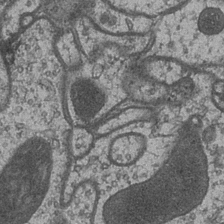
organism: Drosophila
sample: Optic medulla